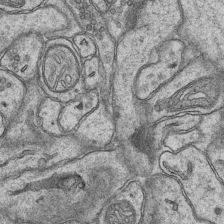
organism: Mouse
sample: CA1 Hippocampus